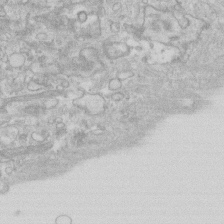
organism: Human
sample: Fibroblast cells